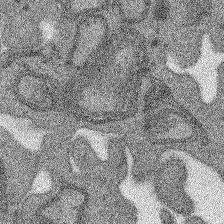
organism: Human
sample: HeLa cells